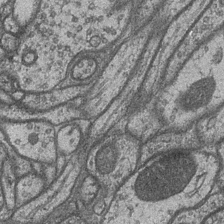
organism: Drosophila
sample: Optic medulla